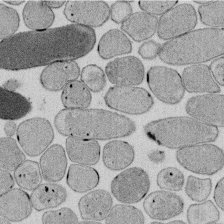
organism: E. coli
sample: Bacterial nucleoid